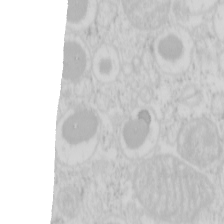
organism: Mouse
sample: Pancreas